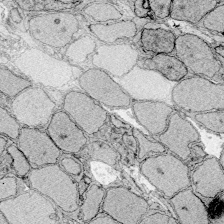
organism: Zebrafish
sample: Whole-Brain